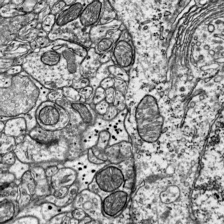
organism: Mouse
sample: Visual Cortex